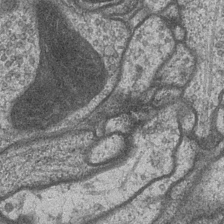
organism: Drosophila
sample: Optic medulla